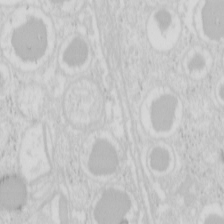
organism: Mouse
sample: Pancreas